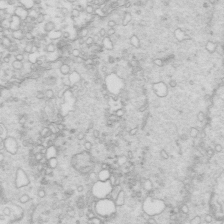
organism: Mouse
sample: Multiciliated cells